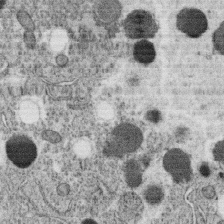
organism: C. elegans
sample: C. elegans oocyte; sperm cells